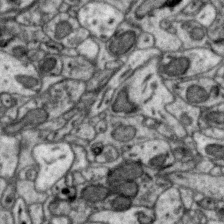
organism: Zebra finch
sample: Brain